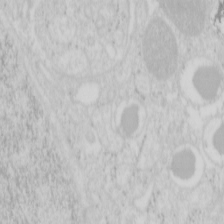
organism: Mouse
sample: Pancreas